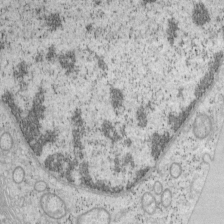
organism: Mouse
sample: OT-I killer T cells with ID8 ovarian cancer cells